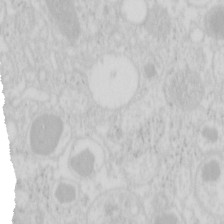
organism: Mouse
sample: Pancreas